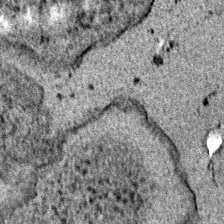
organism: E. coli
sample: E. Coli Bacteria